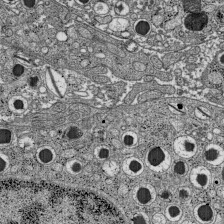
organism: C57BL Mouse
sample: Pancreatic islet